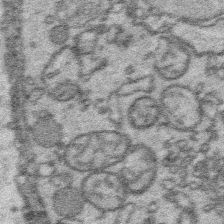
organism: Platynereis dumerilii